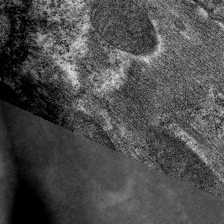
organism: C. elegans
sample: Pharynx